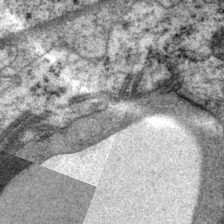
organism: P. pacificus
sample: Pharynx